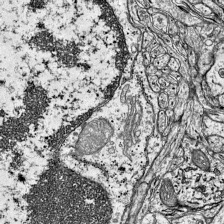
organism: Mouse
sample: Visual Cortex